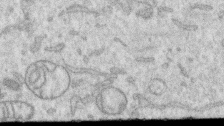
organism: Human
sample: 1205lu cells